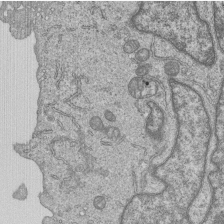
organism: Human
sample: MDA-MB-231 cells